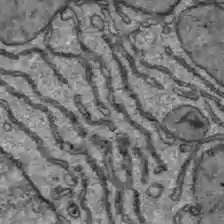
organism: C57BL Mouse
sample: Liver